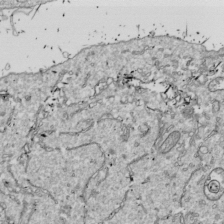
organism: Drosophila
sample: Cell division; meiosis; drosophila spermatocytes